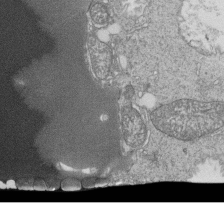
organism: Tetrahymena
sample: Cilia in tetrahymena